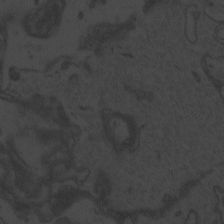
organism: Zebrafish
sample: Macrophage infected with Toxoplasma gondii